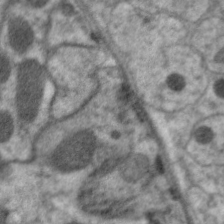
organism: C. elegans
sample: Pharynx